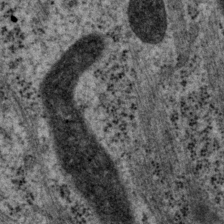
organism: P. pacificus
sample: Pharynx